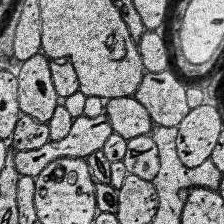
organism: Human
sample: Temporal Lobe